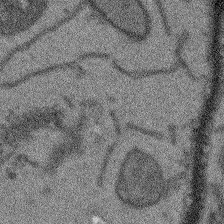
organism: Arabidopsis thaliana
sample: Root tip